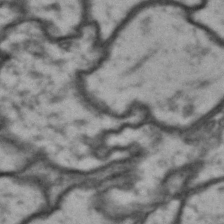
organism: Drosophila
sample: Brain